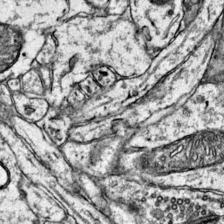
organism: Mouse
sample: Primary visual cortex